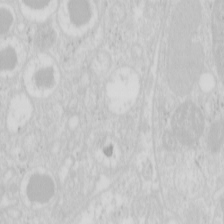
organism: Mouse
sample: Pancreas